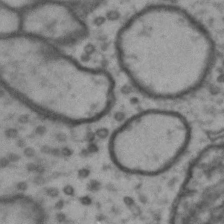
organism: Drosophila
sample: Brain